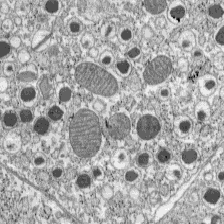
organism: C57BL Mouse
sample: Pancreatic islet